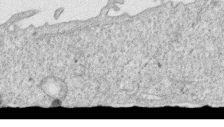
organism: Human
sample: HeLa cell HIV synapse